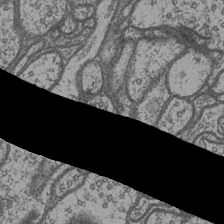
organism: Drosophila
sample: Optic medulla